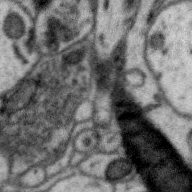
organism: Zebra finch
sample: Brain